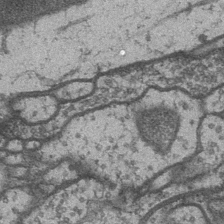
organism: Drosophila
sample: Optic medulla